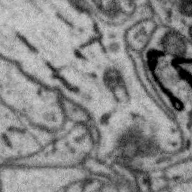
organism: Zebra finch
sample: Brain